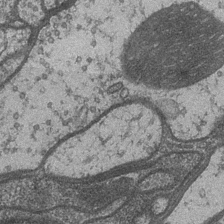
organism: Drosophila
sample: Optic medulla